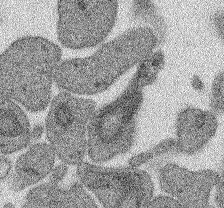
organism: Human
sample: HeLa cells